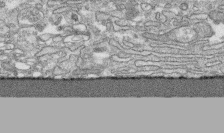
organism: Human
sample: CRL-1474